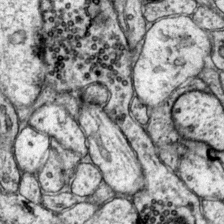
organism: Mouse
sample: Primary visual cortex